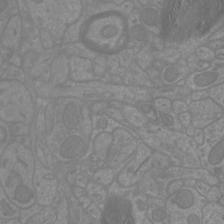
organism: Mouse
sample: Cortical neurons